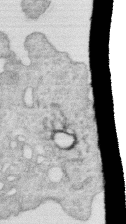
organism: Human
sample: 1205lu cells